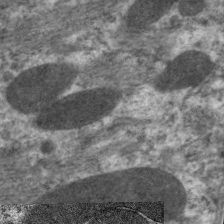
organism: C. elegans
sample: Pharynx